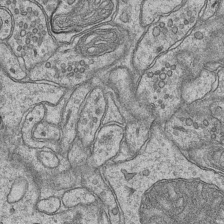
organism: Mouse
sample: CA1 Hippocampus